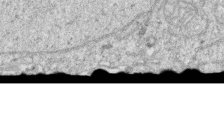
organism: Human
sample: HeLa cell HIV synapse